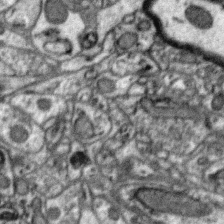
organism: Zebra finch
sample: Brain